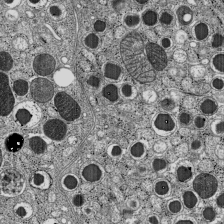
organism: C57BL Mouse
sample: Pancreatic islet